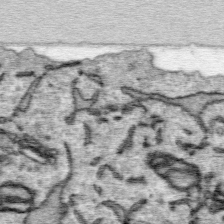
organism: Human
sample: HeLa cells